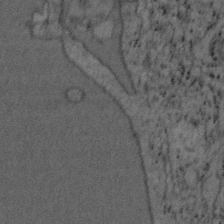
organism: Human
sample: HeLa cells